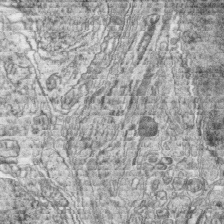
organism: Zebrafish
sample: synaptic ribbons in rod cells and cone cells